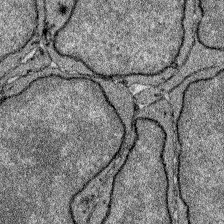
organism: Zebrafish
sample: Larval olfactory bulb